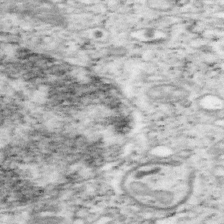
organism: Mouse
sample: OT-I killer T cells with ID8 ovarian cancer cells